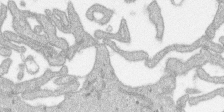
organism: Human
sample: Lung epithelial cells infected with SARS-CoV-2